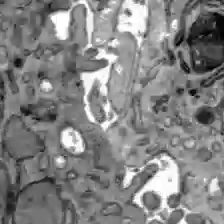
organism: C57BL Mouse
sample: Liver